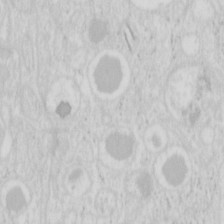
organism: Mouse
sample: Pancreas